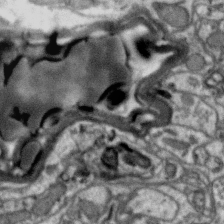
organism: Zebra finch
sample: Brain